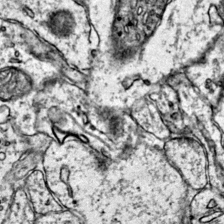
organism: Mouse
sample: Primary visual cortex